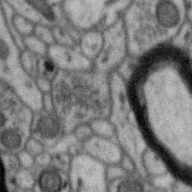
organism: Zebra finch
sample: Brain